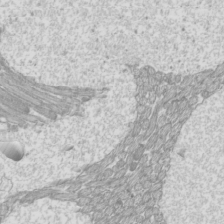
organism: Mouse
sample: Cilia; mouse epididymis